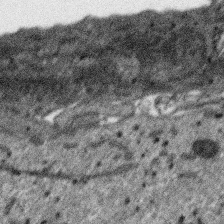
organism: Human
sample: Lung epithelial cells infected with SARS-CoV-2